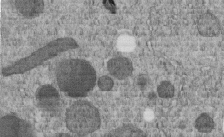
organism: C. elegans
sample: C. elegans embryo early stage